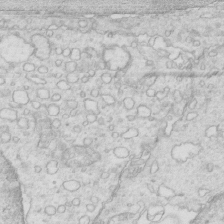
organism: Mouse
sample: Multiciliated cells